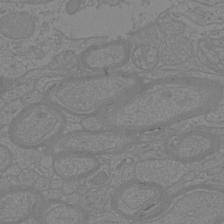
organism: Mouse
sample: Cortical neurons